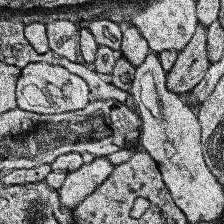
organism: Human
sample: Temporal Lobe